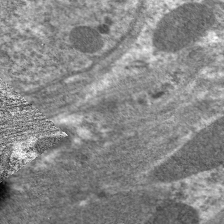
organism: C. elegans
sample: Pharynx